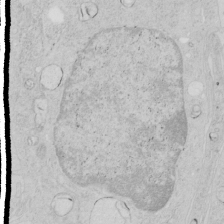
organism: Human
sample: Mitochondria in HCT116 cells